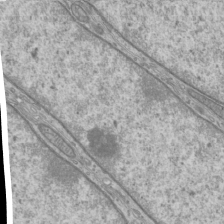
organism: Mouse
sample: Cilia; mouse epididymis